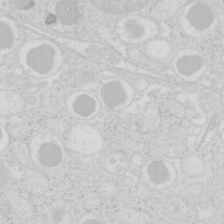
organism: Mouse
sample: Pancreas